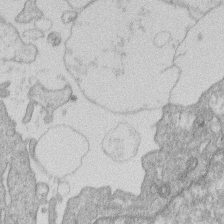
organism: Human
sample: Macrophage cells